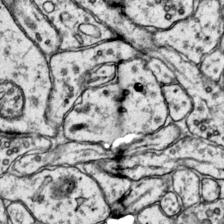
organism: Mouse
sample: Primary visual cortex